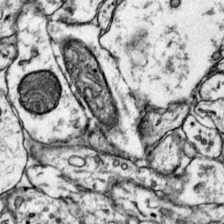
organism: Mouse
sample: Primary visual cortex